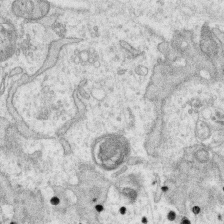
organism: Human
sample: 1205lu cells